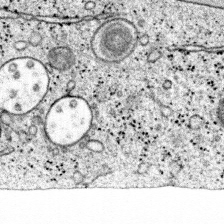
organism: Human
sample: HeLa cells